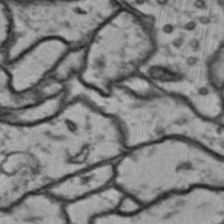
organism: Drosophila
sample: Brain